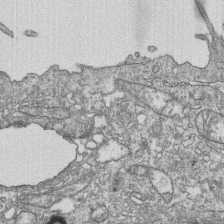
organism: Human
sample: HeLa cell HIV synapse